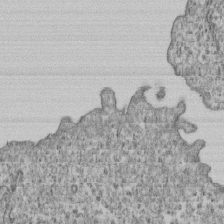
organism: Human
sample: MDA-MB-231 cells